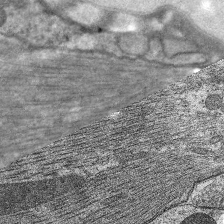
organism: C. elegans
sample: Pharynx